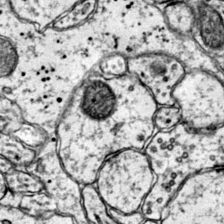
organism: Mouse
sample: Primary visual cortex